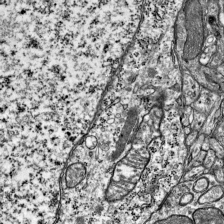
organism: Mouse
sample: Visual Cortex